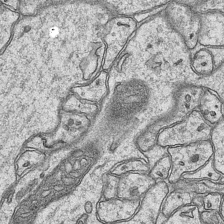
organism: Mouse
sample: CA1 Hippocampus